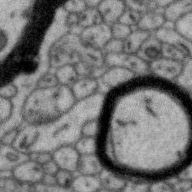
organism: Zebra finch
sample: Brain